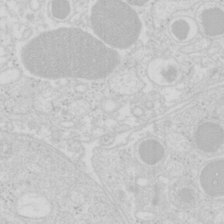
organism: Mouse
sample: Pancreas